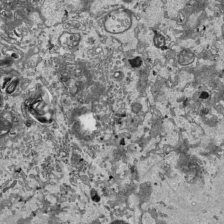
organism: Human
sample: Mitochondria in HCT116 cells